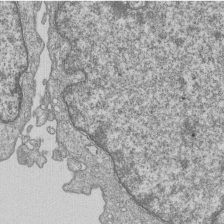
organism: Human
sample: MDA-MB-231 cells